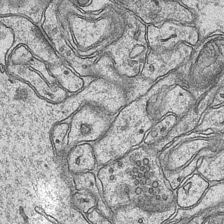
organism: Mouse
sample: CA1 Hippocampus